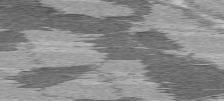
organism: C57BL Mouse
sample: Heart